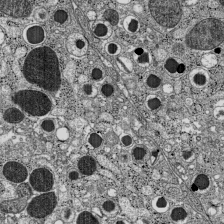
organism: C57BL Mouse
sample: Pancreatic islet